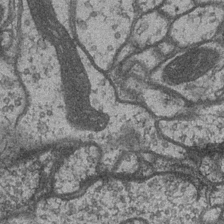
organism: Drosophila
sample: Optic medulla